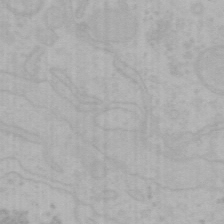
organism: Mouse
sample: Choroid plexus